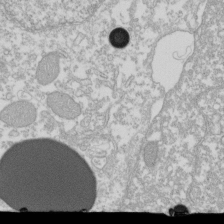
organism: Xenopus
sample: Cilia; centrioles in frog embryo cells